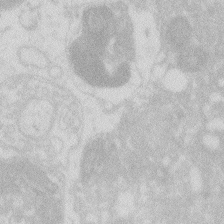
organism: Zebrafish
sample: Macrophage